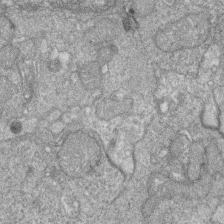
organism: Zebrafish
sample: Cilia; retinal pigment epithelium